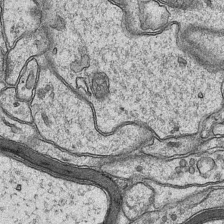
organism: Mouse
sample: CA1 Hippocampus